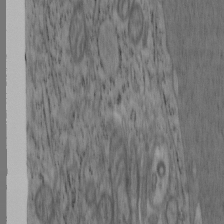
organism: Human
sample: HeLa cells